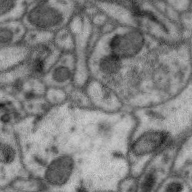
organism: Zebra finch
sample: Brain